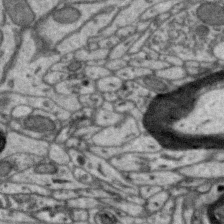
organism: Zebra finch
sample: Brain